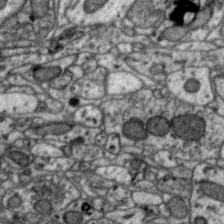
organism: Zebra finch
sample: Brain